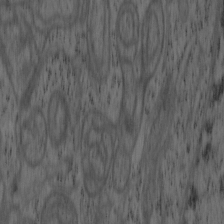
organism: Human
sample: HeLa cells